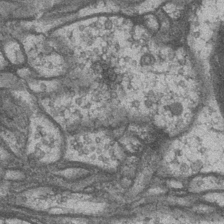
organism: Drosophila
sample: Optic medulla